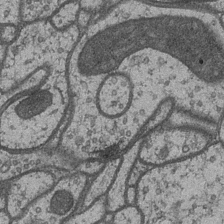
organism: Drosophila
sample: Optic medulla